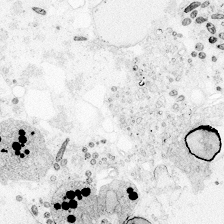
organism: Zebrafish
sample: Whole-Brain